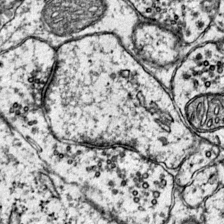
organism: Mouse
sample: Primary visual cortex